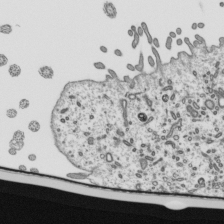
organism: Mouse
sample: Mouse epididymis efferent ductule cilia